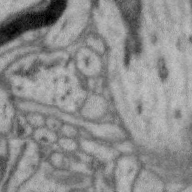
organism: Zebra finch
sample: Brain